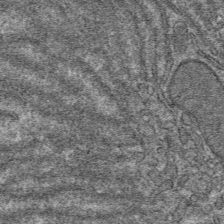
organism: Mouse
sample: Mouse hepatocytes